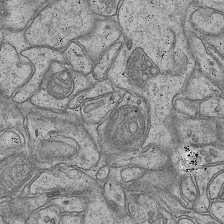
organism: Mouse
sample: CA1 Hippocampus